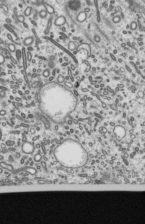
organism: Mouse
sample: Mouse epididymis efferent ductule cilia